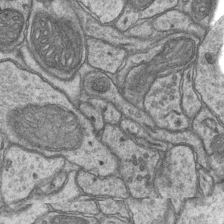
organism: Mouse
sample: CA1 Hippocampus